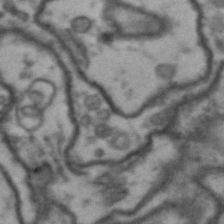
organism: Drosophila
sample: Brain